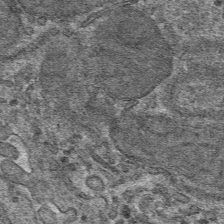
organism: Mouse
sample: Mouse hepatocytes